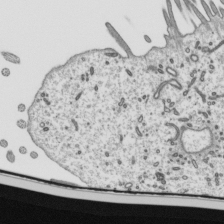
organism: Mouse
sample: Mouse epididymis efferent ductule cilia